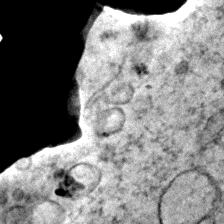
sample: Trachea